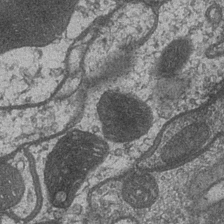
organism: Drosophila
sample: Optic medulla